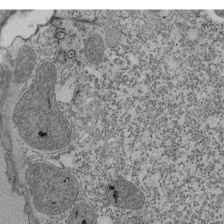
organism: Tetrahymena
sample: Cilia in tetrahymena